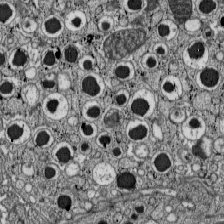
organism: C57BL Mouse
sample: Pancreatic islet